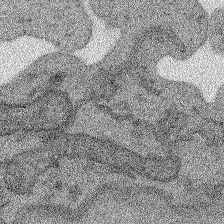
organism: Human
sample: HeLa cells